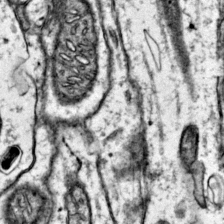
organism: Mouse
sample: Primary visual cortex